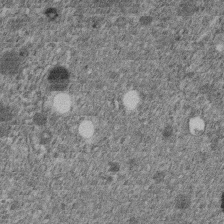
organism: C. elegans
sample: C. elegans embryo early stage